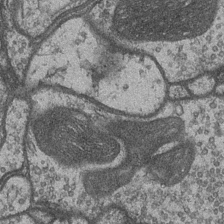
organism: Drosophila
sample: Optic medulla